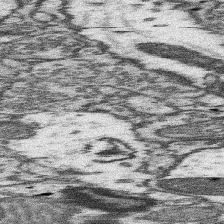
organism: Mouse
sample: Somatosensory cortex neuropil